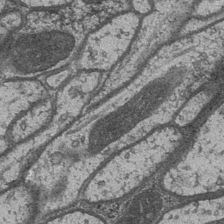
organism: Drosophila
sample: Optic medulla